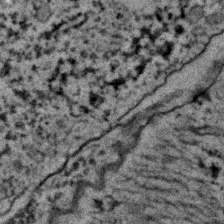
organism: C. elegans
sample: C. elegans embryo